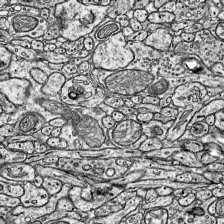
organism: Mouse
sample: Visual Cortex